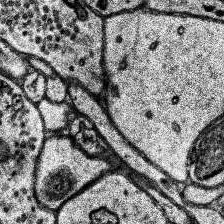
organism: Human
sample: Temporal Lobe